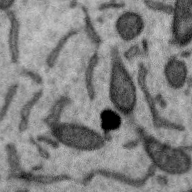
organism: Zebra finch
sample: Brain